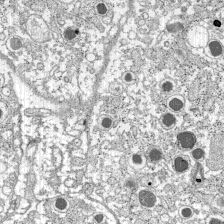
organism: C57BL Mouse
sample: Pancreatic islet